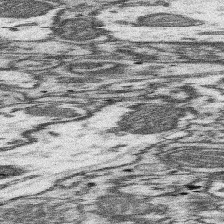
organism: Mouse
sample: Somatosensory cortex neuropil